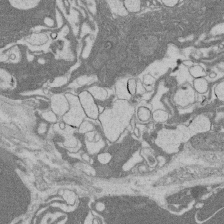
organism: Rat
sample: Salivary granule